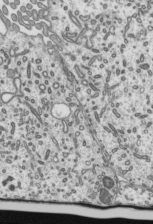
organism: Mouse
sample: Mouse epididymis efferent ductule cilia